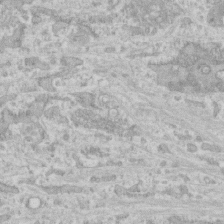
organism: Human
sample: CRL-1474